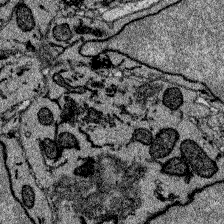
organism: Zebrafish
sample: Larval olfactory bulb